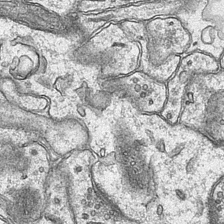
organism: Mouse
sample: CA1 Hippocampus